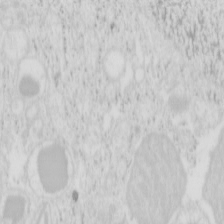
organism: Mouse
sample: Pancreas